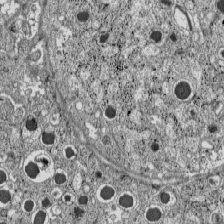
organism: C57BL Mouse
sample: Pancreatic islet